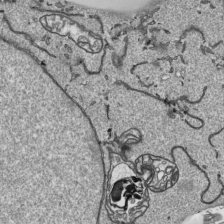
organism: Human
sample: Mitochondria in HCT116 cells